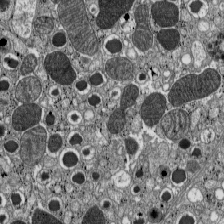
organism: C57BL Mouse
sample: Pancreatic islet